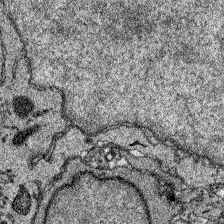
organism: Zebrafish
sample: Larval olfactory bulb